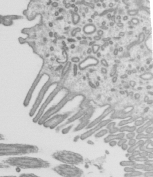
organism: Mouse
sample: Mouse epididymis efferent ductule cilia